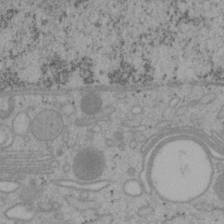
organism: Human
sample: HeLa cells